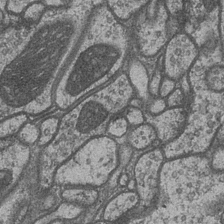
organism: Drosophila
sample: Optic medulla